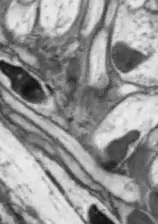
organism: Drosophila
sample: Optic lobe